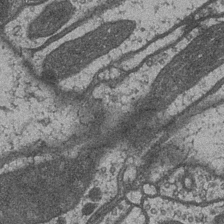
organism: Drosophila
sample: Optic medulla